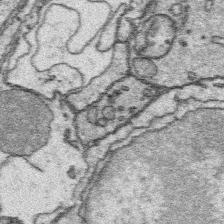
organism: Platynereis dumerilii